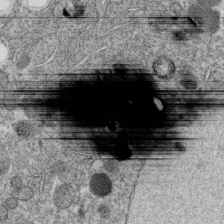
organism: C. elegans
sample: C. elegans oocyte; sperm cells